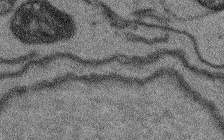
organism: Arabidopsis thaliana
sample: Root tip